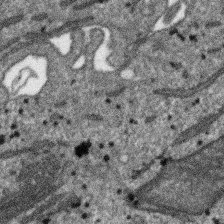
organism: Human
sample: Lung epithelial cells infected with SARS-CoV-2